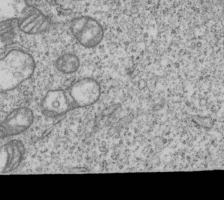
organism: Human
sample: MDA-MB-231 cells